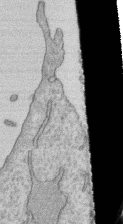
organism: Human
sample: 1205lu cells